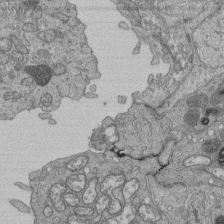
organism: Human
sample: Retinal organoid Rod and Cone cells